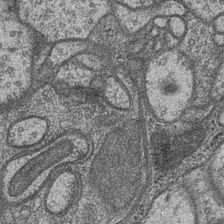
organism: Drosophila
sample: Optic medulla